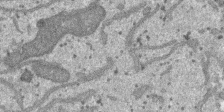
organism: Human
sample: Lung epithelial cells infected with SARS-CoV-2